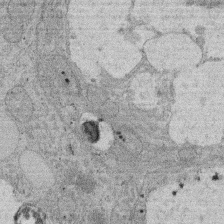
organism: Rat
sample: Salivary granule